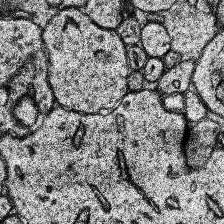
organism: Human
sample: Temporal Lobe